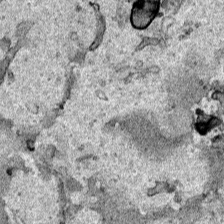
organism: Human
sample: Mitochondria in HCT116 cells